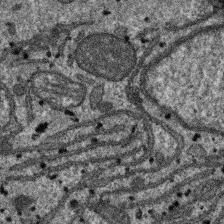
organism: Human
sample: Lung epithelial cells infected with SARS-CoV-2